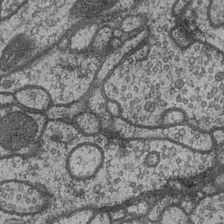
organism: Drosophila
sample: Optic medulla